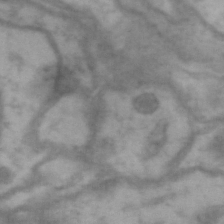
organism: Drosophila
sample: Brain